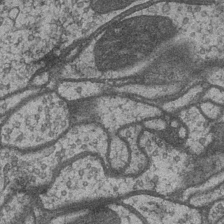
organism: Drosophila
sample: Optic medulla